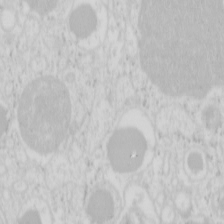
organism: Mouse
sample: Pancreas